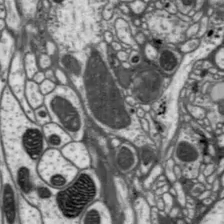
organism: Drosophila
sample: Protocerebral bridge